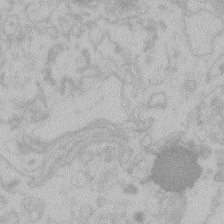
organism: Zebrafish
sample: Macrophage infected with Toxoplasma gondii